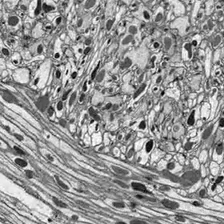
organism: Drosophila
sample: Optic lobe